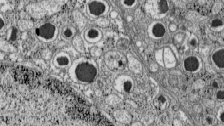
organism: C57BL Mouse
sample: Pancreatic islet